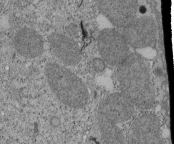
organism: Tetrahymena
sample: Cilia in tetrahymena